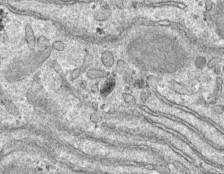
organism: Mouse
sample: Mouse hepatocytes